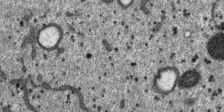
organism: Human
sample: Lung epithelial cells infected with SARS-CoV-2